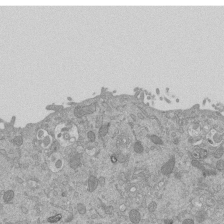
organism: Mouse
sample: ED-1 cell nuclei; centrioles